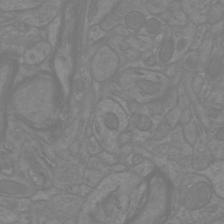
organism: Mouse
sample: Cortical neurons